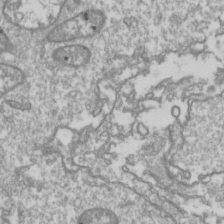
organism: Drosophila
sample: Cell division; meiosis; drosophila spermatocytes